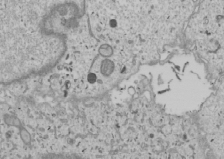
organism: Human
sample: Mitochondria in U2OS cells